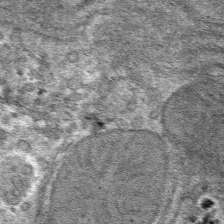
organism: Mouse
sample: Mouse hepatocytes